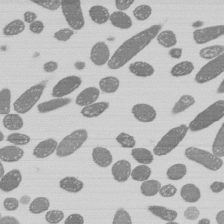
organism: E. coli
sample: Bacterial nucleoid